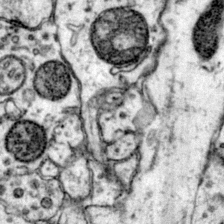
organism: Mouse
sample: Primary visual cortex